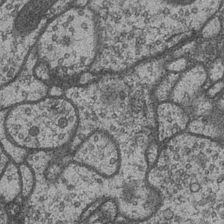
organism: Drosophila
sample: Optic medulla